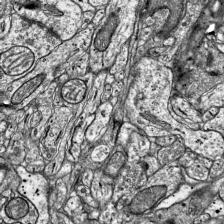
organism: Mouse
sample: Visual Cortex